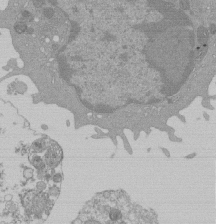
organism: Mouse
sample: Activated Pmel transgenic CD8+ T Cells